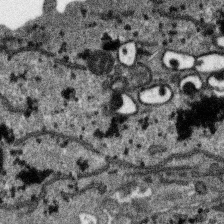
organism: Human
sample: Lung epithelial cells infected with SARS-CoV-2